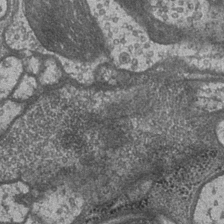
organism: Drosophila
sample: Optic medulla